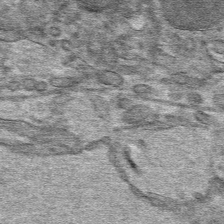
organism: Mouse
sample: Mouse hepatocytes